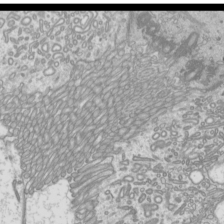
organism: Mouse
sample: Cilia; mouse epididymis